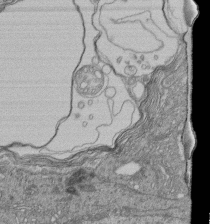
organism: Human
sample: Retinal organoid Rod and Cone cells